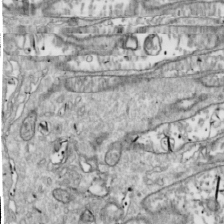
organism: Drosophila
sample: Cell division; meiosis; drosophila spermatocytes